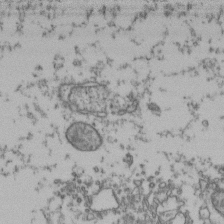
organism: Human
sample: Activated Jurkat CD4+ T cells